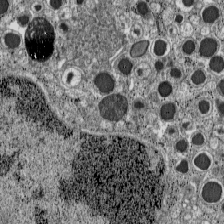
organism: C57BL Mouse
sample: Pancreatic islet